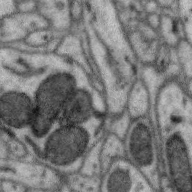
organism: Zebra finch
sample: Brain